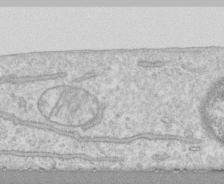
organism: Human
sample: CRL-1474